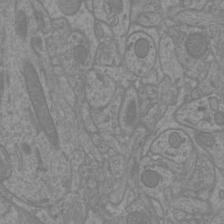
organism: Mouse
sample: Cortical neurons